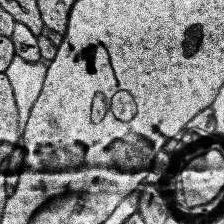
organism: Human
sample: Temporal Lobe